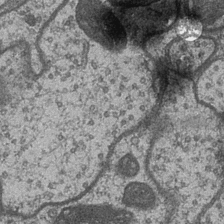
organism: Drosophila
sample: Optic medulla